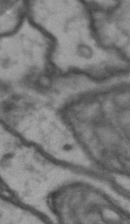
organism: Drosophila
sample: Brain